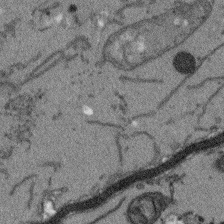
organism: Arabidopsis thaliana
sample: Root tip